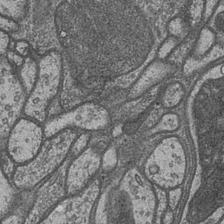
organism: Drosophila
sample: Optic medulla